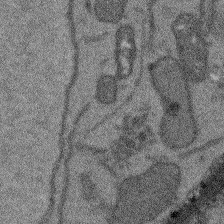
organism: Arabidopsis thaliana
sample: Root tip